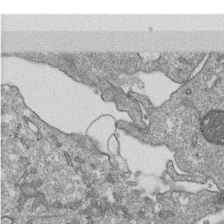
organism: African green monkey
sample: Vero E6 cells infected with SARS-CoV-2